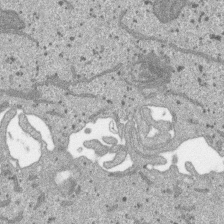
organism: Human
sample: Lung epithelial cells infected with SARS-CoV-2